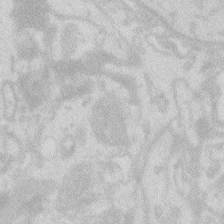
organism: Zebrafish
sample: Macrophage